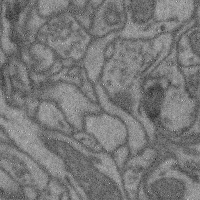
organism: Mouse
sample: Cerebral cortex